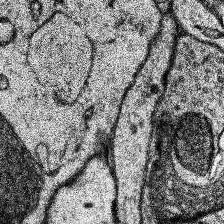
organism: Human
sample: Temporal Lobe